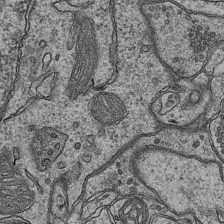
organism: Mouse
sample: CA1 Hippocampus